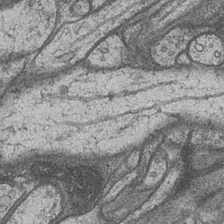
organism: Drosophila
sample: Optic medulla